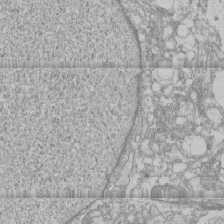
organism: Human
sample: CRL-1474